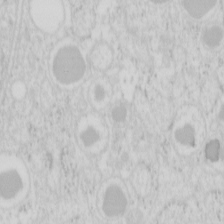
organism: Mouse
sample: Pancreas